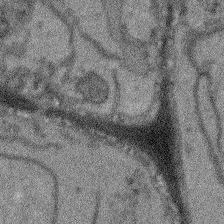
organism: Arabidopsis thaliana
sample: Root tip